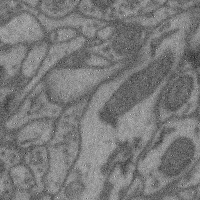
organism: Mouse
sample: Cerebral cortex